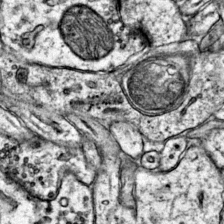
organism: Mouse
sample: Primary visual cortex